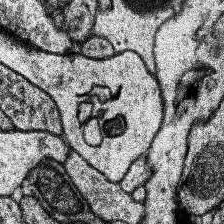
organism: Human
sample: Temporal Lobe